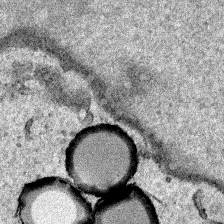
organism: Human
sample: Mitochondria in HCT116 cells